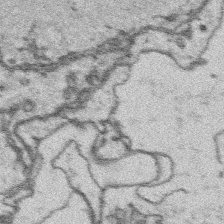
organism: Platynereis dumerilii